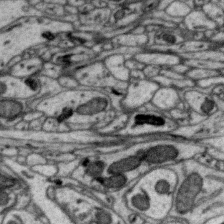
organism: Zebra finch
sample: Brain